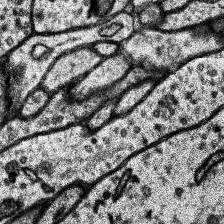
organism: Human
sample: Temporal Lobe